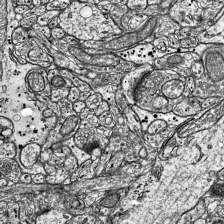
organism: Mouse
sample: Visual Cortex